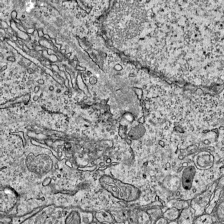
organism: Mouse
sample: Visual Cortex